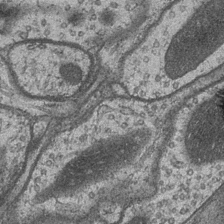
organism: Drosophila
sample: Optic medulla